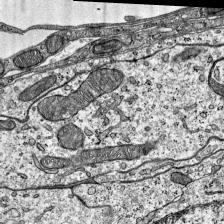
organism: Mouse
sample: Visual Cortex